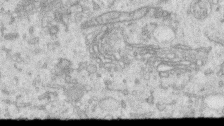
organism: Human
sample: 1205lu cells